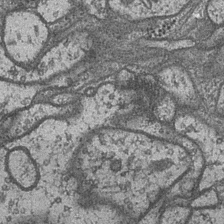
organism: Drosophila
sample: Optic medulla